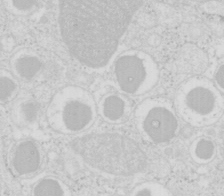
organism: Mouse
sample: Pancreas